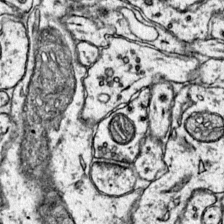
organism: Mouse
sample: Primary visual cortex